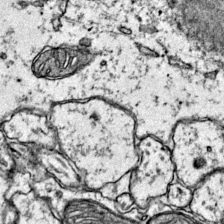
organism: Mouse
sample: Primary visual cortex